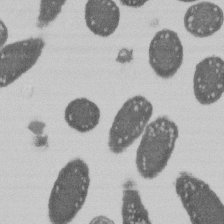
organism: E. coli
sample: Bacterial nucleoid